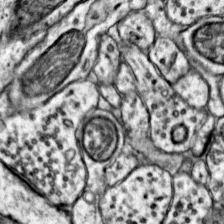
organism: Mouse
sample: Primary visual cortex